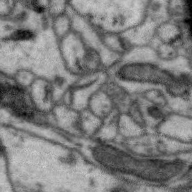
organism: Zebra finch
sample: Brain